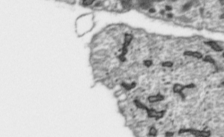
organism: Toxoplasma gondii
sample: Parasites in a vacuole inside a host cell